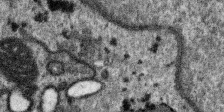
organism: Human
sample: Lung epithelial cells infected with SARS-CoV-2